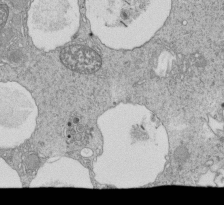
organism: Tetrahymena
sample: Cilia in tetrahymena